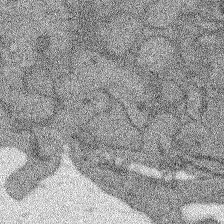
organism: Human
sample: HeLa cells